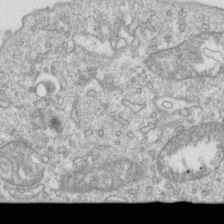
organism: Mouse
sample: Activated OT-1 CD8+ T cells